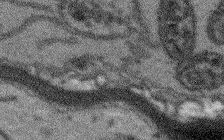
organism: Arabidopsis thaliana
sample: Root tip